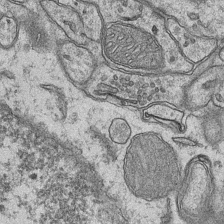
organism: Mouse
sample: CA1 Hippocampus